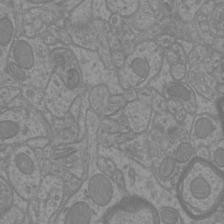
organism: Mouse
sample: Cortical neurons